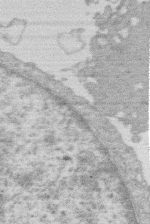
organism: Human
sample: Macrophage cells